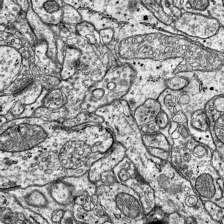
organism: Mouse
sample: Visual Cortex